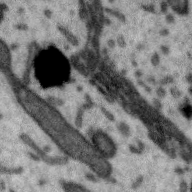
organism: Zebra finch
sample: Brain